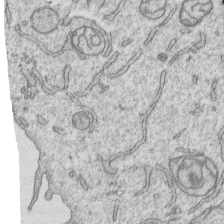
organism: Human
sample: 1205lu cells